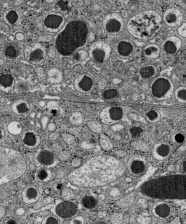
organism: C57BL Mouse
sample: Pancreatic islet